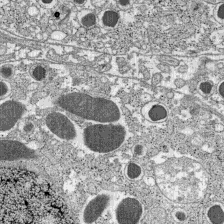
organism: C57BL Mouse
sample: Pancreatic islet